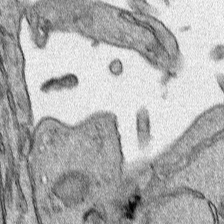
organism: Human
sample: Mitochondria in HCT116 cells